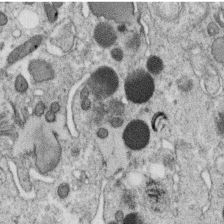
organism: C. elegans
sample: C. elegans oocyte; sperm cells